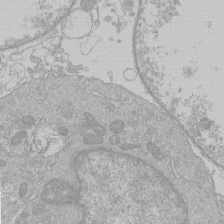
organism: Human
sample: Macrophage cells